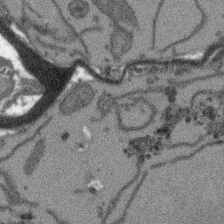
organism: Arabidopsis thaliana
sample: Root tip